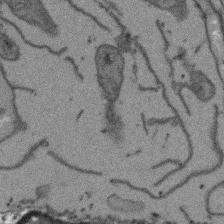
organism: Arabidopsis thaliana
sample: Root tip